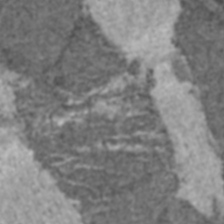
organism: C57BL Mouse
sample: Heart